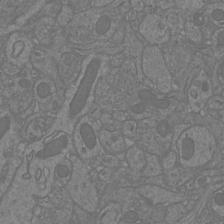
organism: Mouse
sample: Cortical neurons